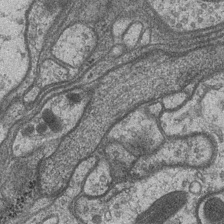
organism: Drosophila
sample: Optic medulla